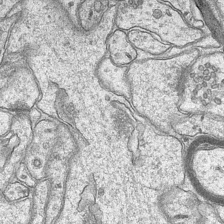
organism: Mouse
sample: CA1 Hippocampus